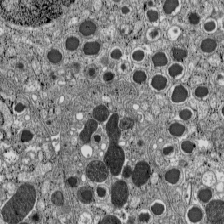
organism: C57BL Mouse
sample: Pancreatic islet